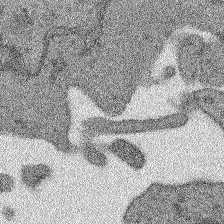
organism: Human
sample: HeLa cells